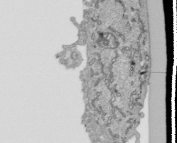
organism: Human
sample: Mitochondria in HCT116 cells